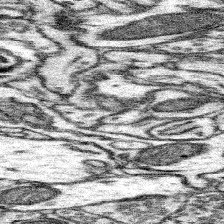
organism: Mouse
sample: Somatosensory cortex neuropil